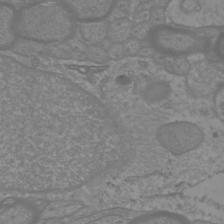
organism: Mouse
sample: Cortical neurons